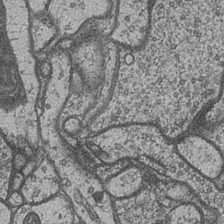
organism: Drosophila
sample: Optic medulla